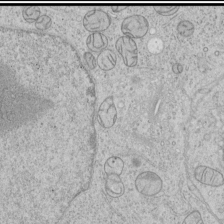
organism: Human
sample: Mitochondria in HCT116 cells